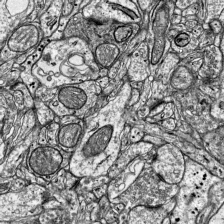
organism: Mouse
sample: Visual Cortex